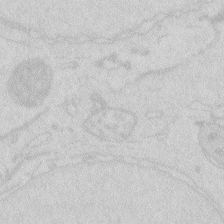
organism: Zebrafish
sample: Macrophage